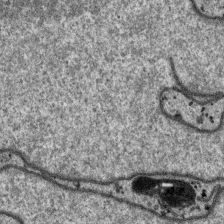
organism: Human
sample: Lung epithelial cells, uninfected (mock) control